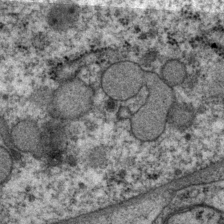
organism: P. pacificus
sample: Pharynx